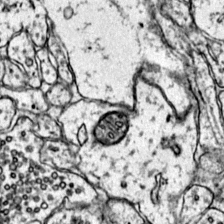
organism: Mouse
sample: Primary visual cortex